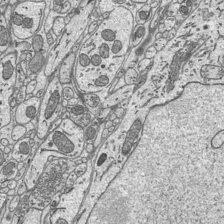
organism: Mouse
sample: Suprachiasmatic nucleus